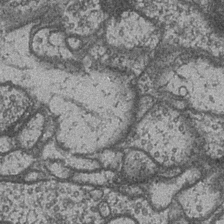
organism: Drosophila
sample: Optic medulla